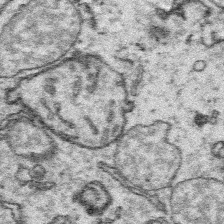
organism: Platynereis dumerilii